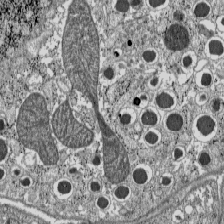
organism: C57BL Mouse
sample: Pancreatic islet